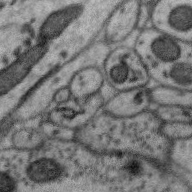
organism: Zebra finch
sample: Brain